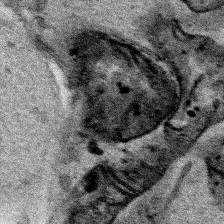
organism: Human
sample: Mitochondria in HCT116 cells